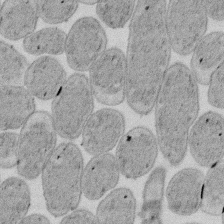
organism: E. coli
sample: Bacterial nucleoid